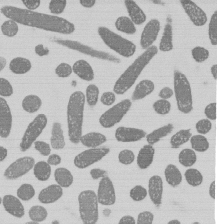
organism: E. coli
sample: Bacterial nucleoid